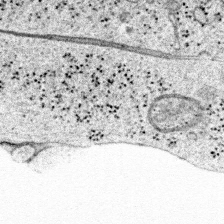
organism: Human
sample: HeLa cells